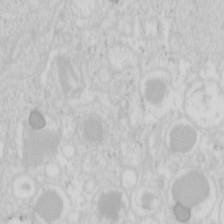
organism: Mouse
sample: Pancreas